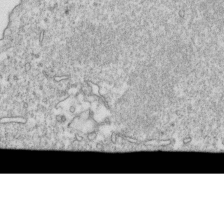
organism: Mouse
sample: Activated OT-1 CD8+ T cells